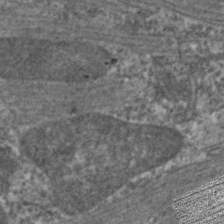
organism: C. elegans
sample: Pharynx